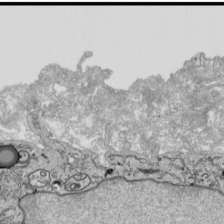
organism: Human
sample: Mitochondria in HCT116 cells